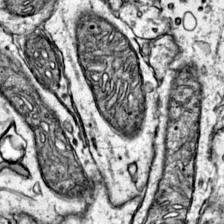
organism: Mouse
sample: Primary visual cortex